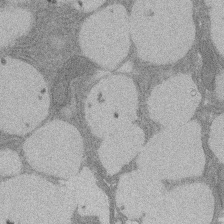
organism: Rat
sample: Salivary granule